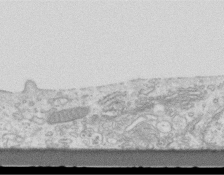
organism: Mouse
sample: Centriole in ependymal cells